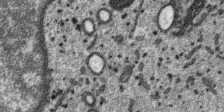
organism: Human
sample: Lung epithelial cells infected with SARS-CoV-2